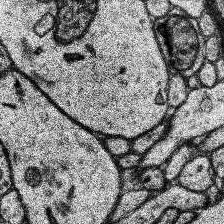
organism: Human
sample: Temporal Lobe